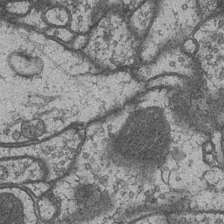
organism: Drosophila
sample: Optic medulla